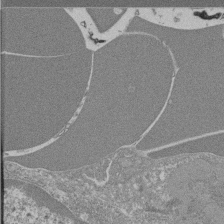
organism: Mouse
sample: Glomerulus